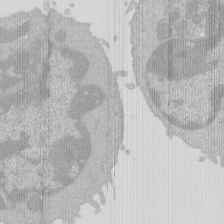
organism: Mouse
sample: Activated Pmel transgenic CD8+ T Cells